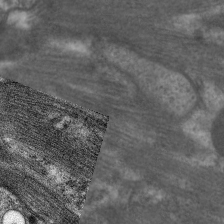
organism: C. elegans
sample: Pharynx